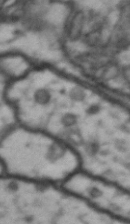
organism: Drosophila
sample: Brain